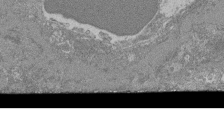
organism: Mouse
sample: Glomerulus